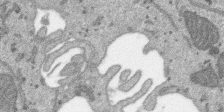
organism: Human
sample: Lung epithelial cells infected with SARS-CoV-2